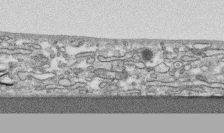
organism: Human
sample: CRL-1474